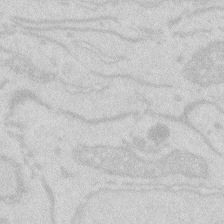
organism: Zebrafish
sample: Macrophage